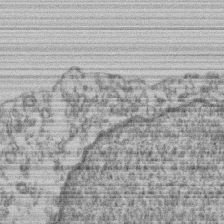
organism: Mouse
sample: T cell stromal cell synapse